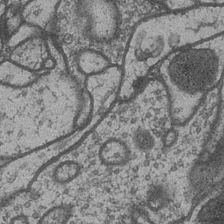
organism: Drosophila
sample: Optic medulla